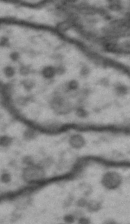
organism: Drosophila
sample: Brain